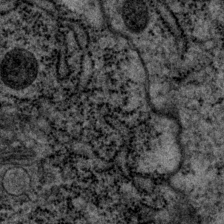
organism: P. pacificus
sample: Pharynx